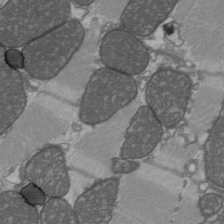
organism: C57BL Mouse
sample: Heart